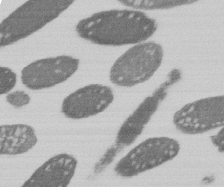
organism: E. coli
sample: Bacterial nucleoid